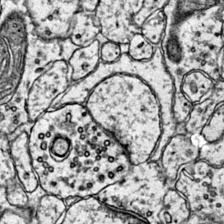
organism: Mouse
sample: Primary visual cortex